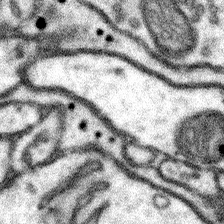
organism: Mouse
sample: Somatosensory cortex neuropil